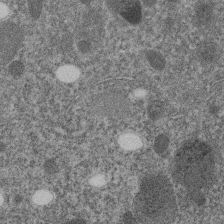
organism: C. elegans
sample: C. elegans embryo early stage